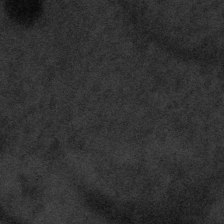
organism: Tuwongella immobilis